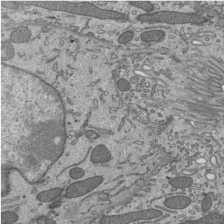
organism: Mouse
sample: Mouse epididymis efferent ductule cilia